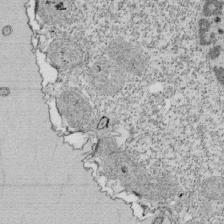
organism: Tetrahymena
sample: Cilia in tetrahymena